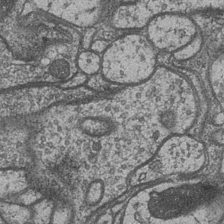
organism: Drosophila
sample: Optic medulla